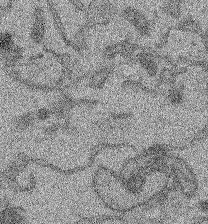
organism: Human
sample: HeLa cells